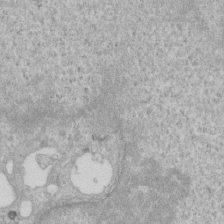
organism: Human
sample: Centriole in RPE cells